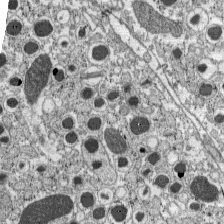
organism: C57BL Mouse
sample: Pancreatic islet